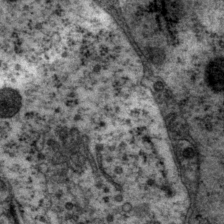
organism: P. pacificus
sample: Pharynx